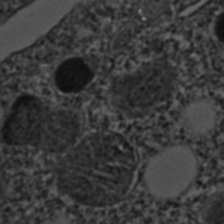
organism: C. elegans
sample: C. elegans embryo